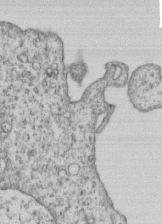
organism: Human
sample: MDA-MB-231 cells